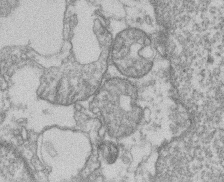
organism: Mouse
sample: T cell stromal cell synapse